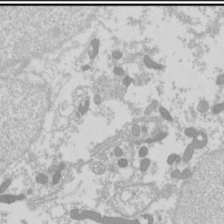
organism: Drosophila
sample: Cell division; meiosis; drosophila spermatocytes